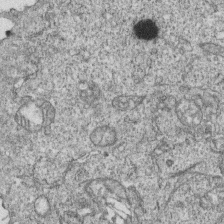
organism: Human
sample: HeLa cell HIV synapse